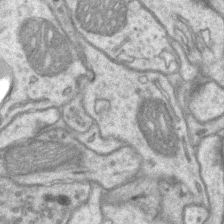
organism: Mouse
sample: CA1 Hippocampus